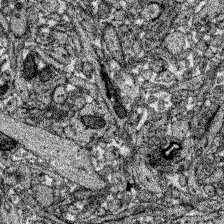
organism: Zebrafish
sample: Larval olfactory bulb